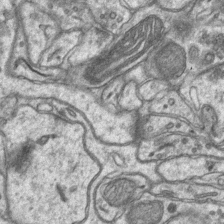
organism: Mouse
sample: CA1 Hippocampus